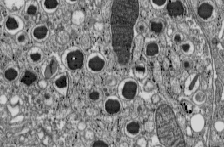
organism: C57BL Mouse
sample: Pancreatic islet